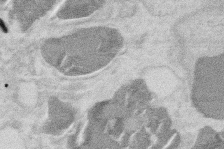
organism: Mouse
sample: T cell stromal cell synapse